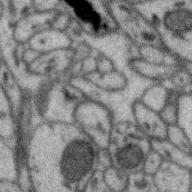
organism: Zebra finch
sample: Brain